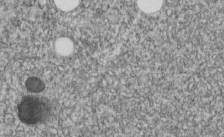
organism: C. elegans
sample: C. elegans embryo early stage